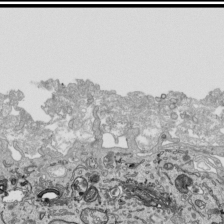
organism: Human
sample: Mitochondria in HCT116 cells